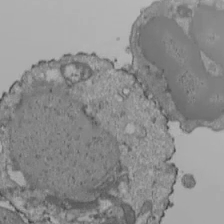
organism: Human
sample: Jurkat E6-1 and CD4 cells